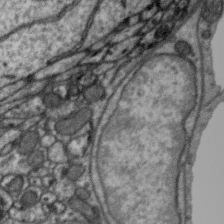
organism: Zebra finch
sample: Brain